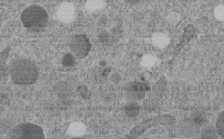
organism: C. elegans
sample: C. elegans embryo early stage